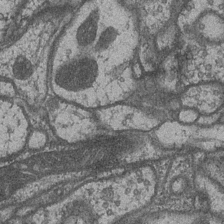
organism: Drosophila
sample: Optic medulla